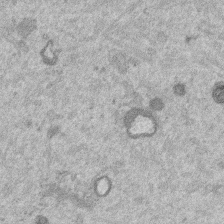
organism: Mouse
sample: Dividing mouse embryo 1 cell stage